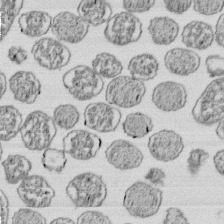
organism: E. coli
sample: Bacterial nucleoid